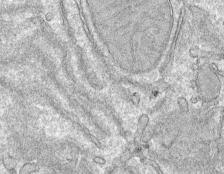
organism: Mouse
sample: Mouse hepatocytes